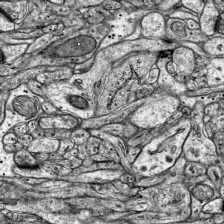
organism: Mouse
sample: Visual Cortex